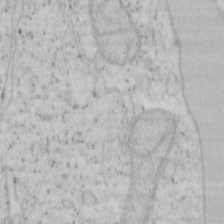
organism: Human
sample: HeLa cells